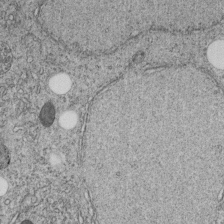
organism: C. elegans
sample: C. elegans embryo early stage